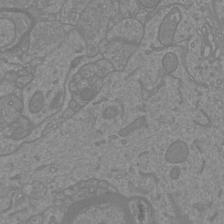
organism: Mouse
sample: Cortical neurons